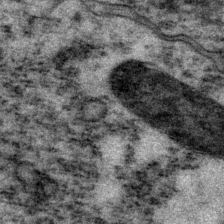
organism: P. pacificus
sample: Pharynx